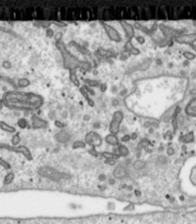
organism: Toxoplasma gondii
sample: Parasites in a vacuole inside a host cell